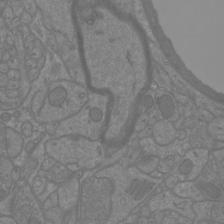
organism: Mouse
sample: Cortical neurons